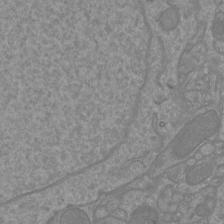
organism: Mouse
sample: Cortical neurons